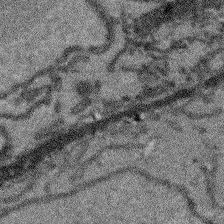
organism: Arabidopsis thaliana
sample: Root tip